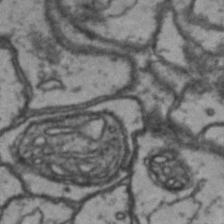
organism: Drosophila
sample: Brain